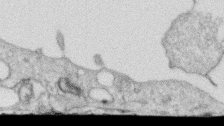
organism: Human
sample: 1205lu cells